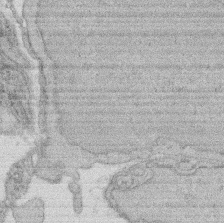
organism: Rat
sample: Salivary granule